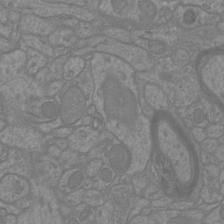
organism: Mouse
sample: Cortical neurons